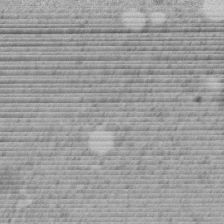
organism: C. elegans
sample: C. elegans embryo early stage